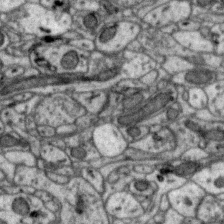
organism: Zebra finch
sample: Brain